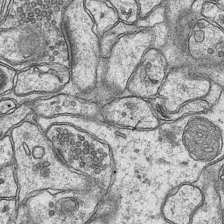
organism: Mouse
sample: CA1 Hippocampus